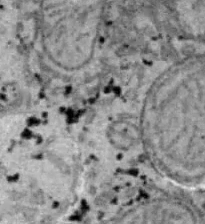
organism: Mouse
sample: Liver from an obese (ob/ob) mouse